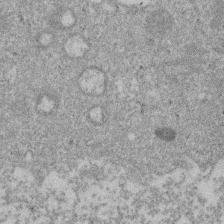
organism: Mouse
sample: Dividing mouse embryo 1 cell stage